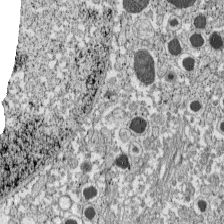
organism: C57BL Mouse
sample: Pancreatic islet